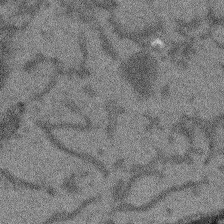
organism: Arabidopsis thaliana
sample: Root tip